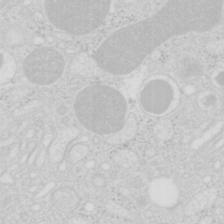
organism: Mouse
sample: Pancreas